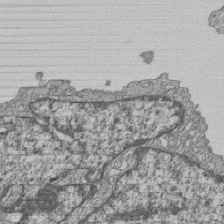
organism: Human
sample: MDA-MB-231 cells